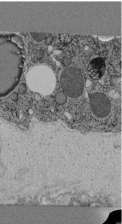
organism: C. elegans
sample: C. elegans pharynx